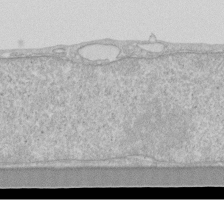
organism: Human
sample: Fibroblast cells